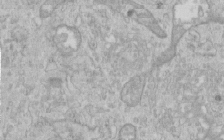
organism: Human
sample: Centriole in RPE cells